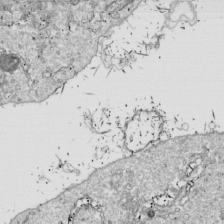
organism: Drosophila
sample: Cell division; meiosis; drosophila spermatocytes